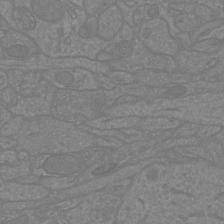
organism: Mouse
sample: Cortical neurons